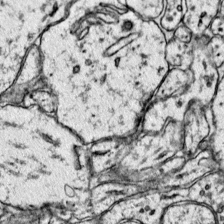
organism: Mouse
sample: Primary visual cortex